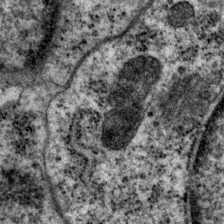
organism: P. pacificus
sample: Pharynx